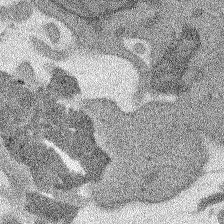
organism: Human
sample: HeLa cells